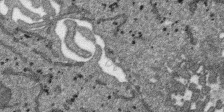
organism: Human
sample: Lung epithelial cells infected with SARS-CoV-2